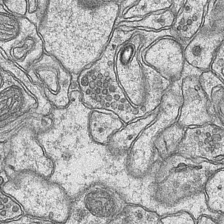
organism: Mouse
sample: CA1 Hippocampus